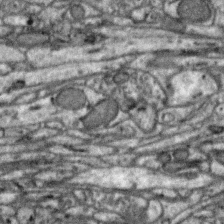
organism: Zebra finch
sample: Brain